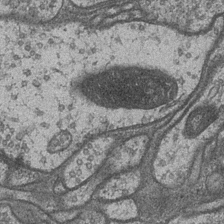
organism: Drosophila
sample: Optic medulla